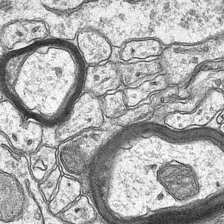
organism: Mouse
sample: CA1 Hippocampus